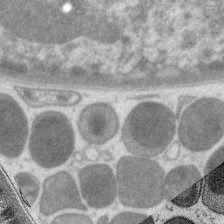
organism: C. elegans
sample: Pharynx